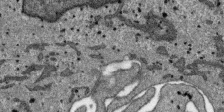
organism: Human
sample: Lung epithelial cells, uninfected (mock) control